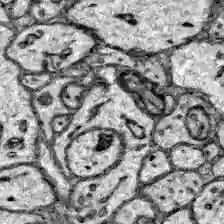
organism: Zebrafish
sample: Brain